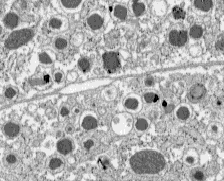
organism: C57BL Mouse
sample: Pancreatic islet